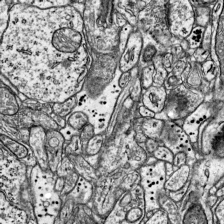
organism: Mouse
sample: Visual Cortex